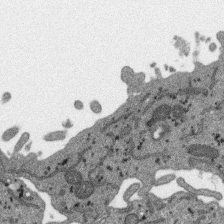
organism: Human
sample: Lung epithelial cells infected with SARS-CoV-2